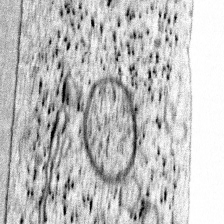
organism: Human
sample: HeLa cells